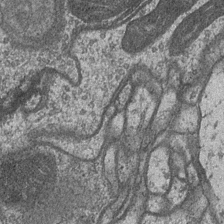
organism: Drosophila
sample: Optic medulla